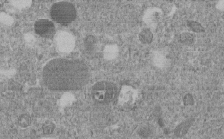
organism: C. elegans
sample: C. elegans embryo early stage